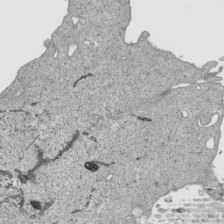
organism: Human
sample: Mitochondria in HCT116 cells